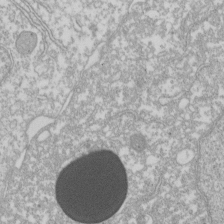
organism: Xenopus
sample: Cilia; centrioles in frog embryo cells